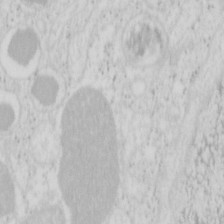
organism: Mouse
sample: Pancreas